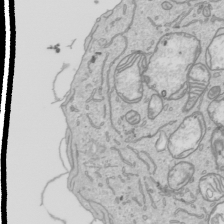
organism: Human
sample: Mitochondria in HCT116 cells